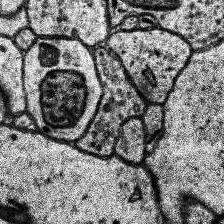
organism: Human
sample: Temporal Lobe